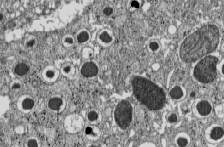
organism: C57BL Mouse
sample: Pancreatic islet